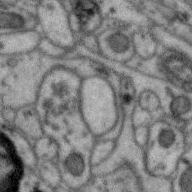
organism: Zebra finch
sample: Brain